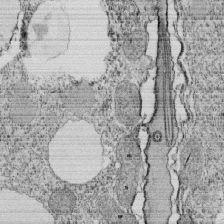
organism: Tetrahymena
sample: Cilia in tetrahymena